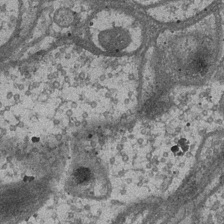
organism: Drosophila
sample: Optic medulla